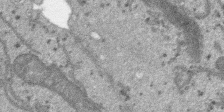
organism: Human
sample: Lung epithelial cells infected with SARS-CoV-2